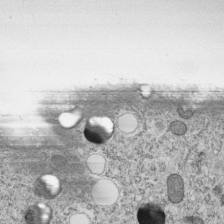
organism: C. elegans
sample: C. elegans embryo early stage